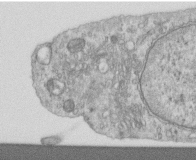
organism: Human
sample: Centriole in RPE cells